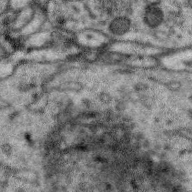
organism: Zebra finch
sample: Brain